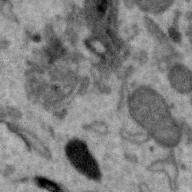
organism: Zebra finch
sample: Brain